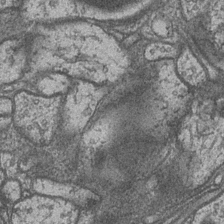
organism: Drosophila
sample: Optic medulla